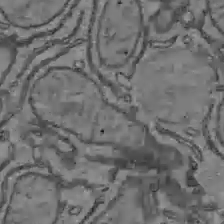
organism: C57BL Mouse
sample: Liver